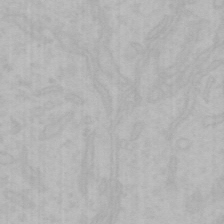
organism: Mouse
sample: Choroid plexus